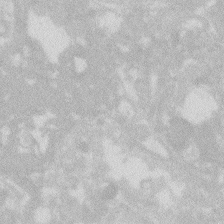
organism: Zebrafish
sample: Macrophage